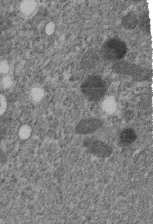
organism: C. elegans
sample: C. elegans embryo early stage